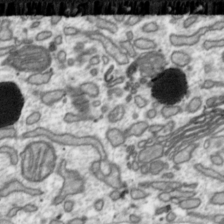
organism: Toxoplasma gondii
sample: Parasites in a vacuole inside a host cell